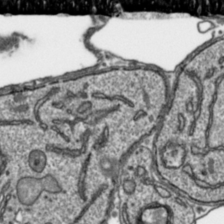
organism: Toxoplasma gondii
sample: Parasites in a vacuole inside a host cell